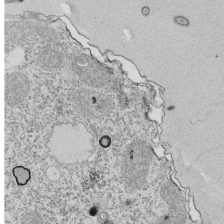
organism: Tetrahymena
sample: Cilia in tetrahymena